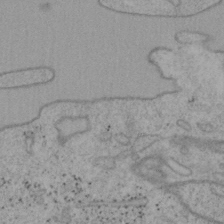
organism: Human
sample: HeLa cells